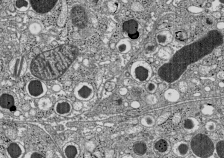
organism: C57BL Mouse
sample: Pancreatic islet